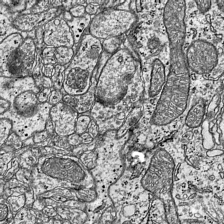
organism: Mouse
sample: Visual Cortex